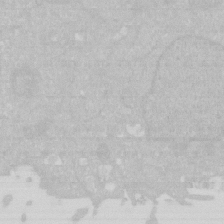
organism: Human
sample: HIV infected U937 cells